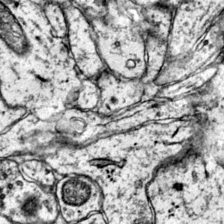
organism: Mouse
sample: Primary visual cortex